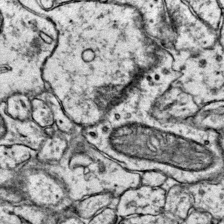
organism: Mouse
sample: Primary visual cortex